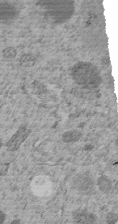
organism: C. elegans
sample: C. elegans embryo early stage